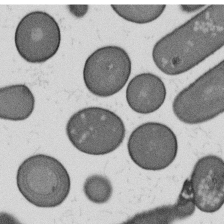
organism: B. subtilis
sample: Bacterial spore